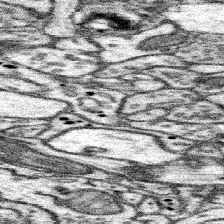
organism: Mouse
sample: Somatosensory cortex neuropil